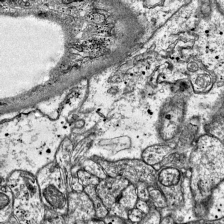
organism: Mouse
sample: Visual Cortex